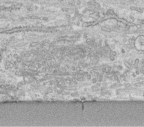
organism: Human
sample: Centriole in fibroblast cells